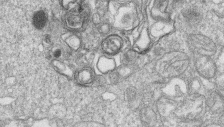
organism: Human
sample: HeLa cell HIV synapse